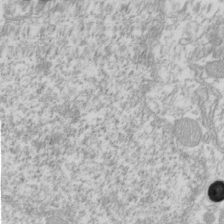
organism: Xenopus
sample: Cilia; centrioles in frog embryo cells